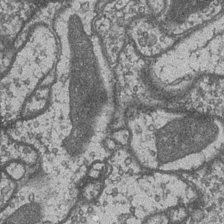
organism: Drosophila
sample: Optic medulla